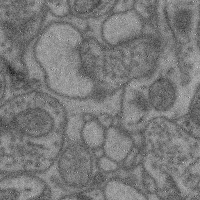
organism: Mouse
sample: Cerebral cortex